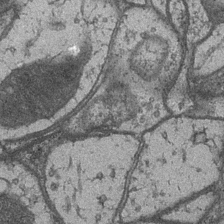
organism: Drosophila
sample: Optic medulla